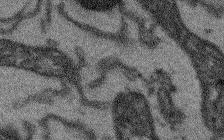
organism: Arabidopsis thaliana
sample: Root tip